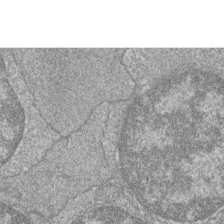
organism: Zebrafish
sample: Cilia; retinal pigment epithelium